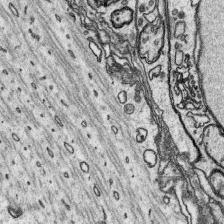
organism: Platynereis dumerilii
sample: Parapodia